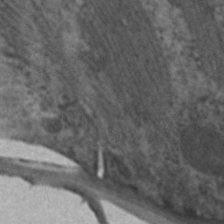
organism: C. elegans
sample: Pharynx